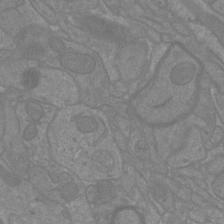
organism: Mouse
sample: Cortical neurons